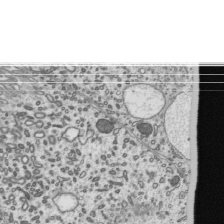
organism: Mouse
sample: Mouse epididymis efferent ductule cilia